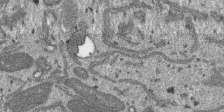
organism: Human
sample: Lung epithelial cells infected with SARS-CoV-2